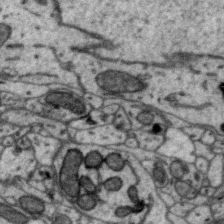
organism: Zebra finch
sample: Brain